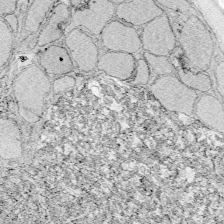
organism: Zebrafish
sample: Whole-Brain